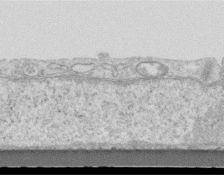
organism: Mouse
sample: Centriole in ependymal cells